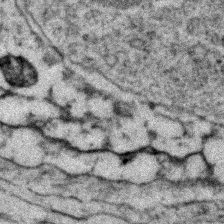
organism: Zebrafish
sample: Zebrafish embryo